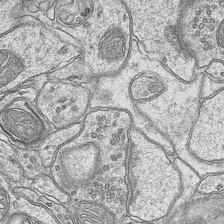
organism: Mouse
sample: CA1 Hippocampus